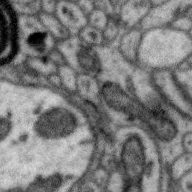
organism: Zebra finch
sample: Brain